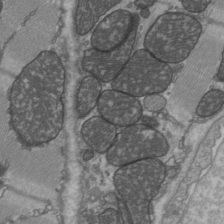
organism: C57BL Mouse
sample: Heart